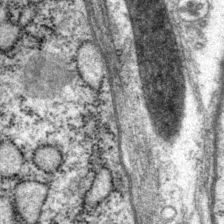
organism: P. pacificus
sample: Pharynx